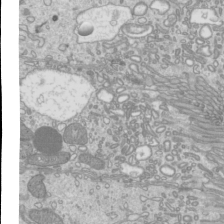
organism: Mouse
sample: Cilia; mouse epididymis